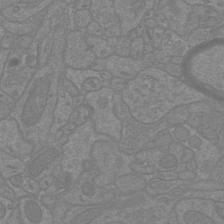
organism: Mouse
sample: Cortical neurons